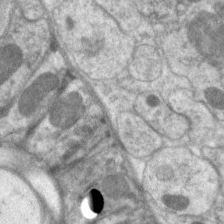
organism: C. elegans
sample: Pharynx